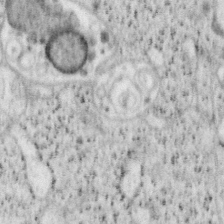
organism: Mouse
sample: OT-I killer T cells with ID8 ovarian cancer cells